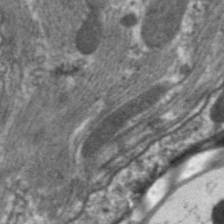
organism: C. elegans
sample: Pharynx